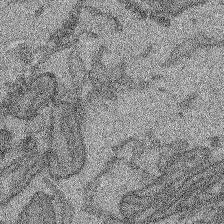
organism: Human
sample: HeLa cells